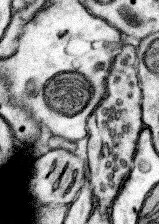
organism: Mouse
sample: Somatosensory cortex neuropil